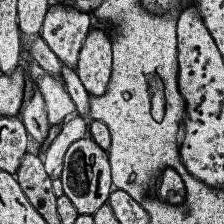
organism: Human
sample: Temporal Lobe